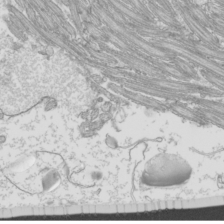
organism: Mouse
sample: Cilia; mouse epididymis